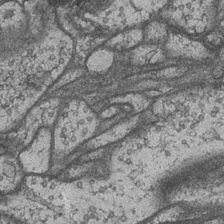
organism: Drosophila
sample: Optic medulla